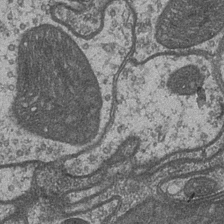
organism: Drosophila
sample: Optic medulla